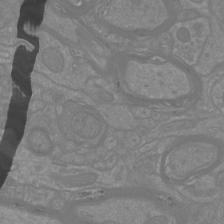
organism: Mouse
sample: Cortical neurons